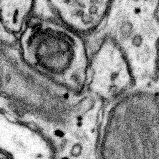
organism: Mouse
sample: Somatosensory cortex neuropil